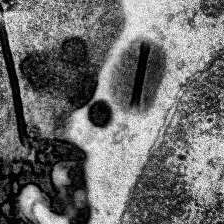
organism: Human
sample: Temporal Lobe